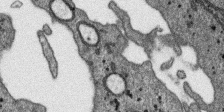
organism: Human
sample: Lung epithelial cells infected with SARS-CoV-2